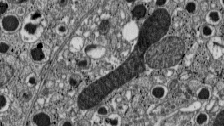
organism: C57BL Mouse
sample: Pancreatic islet